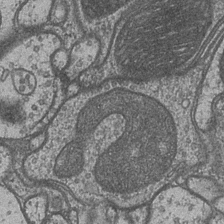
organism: Drosophila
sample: Optic medulla